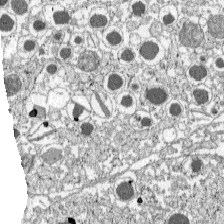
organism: C57BL Mouse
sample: Pancreatic islet